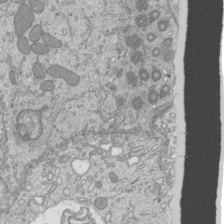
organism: Mouse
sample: Cilia; mouse epididymis